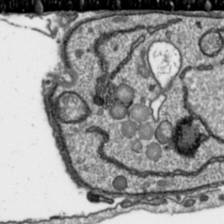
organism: Toxoplasma gondii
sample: Parasites in a vacuole inside a host cell